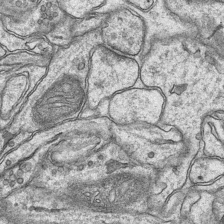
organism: Mouse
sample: CA1 Hippocampus